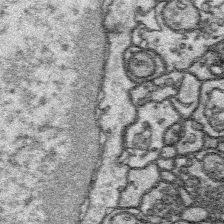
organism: Platynereis dumerilii